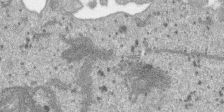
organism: Human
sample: Lung epithelial cells infected with SARS-CoV-2